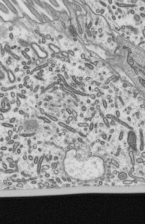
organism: Mouse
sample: Mouse epididymis efferent ductule cilia